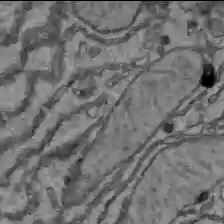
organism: C57BL Mouse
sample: Liver